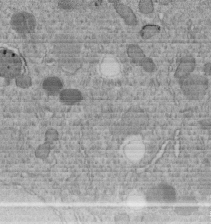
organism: C. elegans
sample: C. elegans embryo early stage